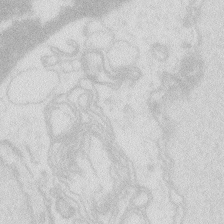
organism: Zebrafish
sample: Macrophage